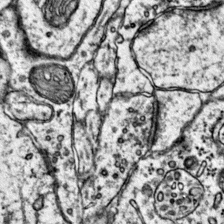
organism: Mouse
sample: Primary visual cortex